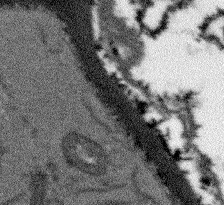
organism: Arabidopsis thaliana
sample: Root tip